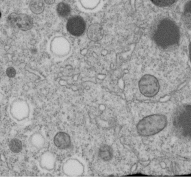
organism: C. elegans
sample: C. elegans embryo early stage